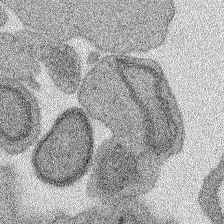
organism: Human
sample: HeLa cells